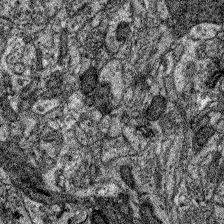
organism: Zebrafish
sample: Larval olfactory bulb